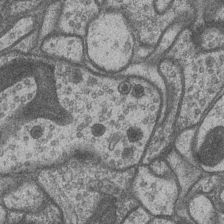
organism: Drosophila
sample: Optic medulla